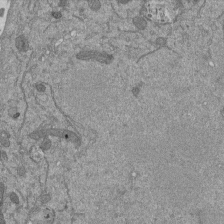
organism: Mouse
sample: ED-1 cell nuclei; centrioles